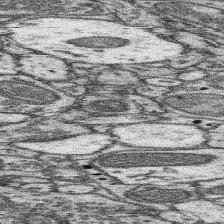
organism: Mouse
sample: Somatosensory cortex neuropil